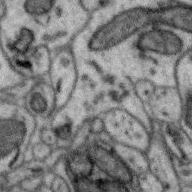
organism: Zebra finch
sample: Brain